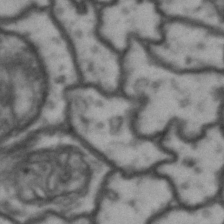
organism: Drosophila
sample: Brain